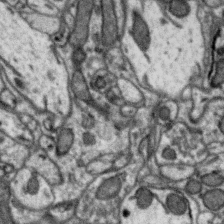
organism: Zebra finch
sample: Brain